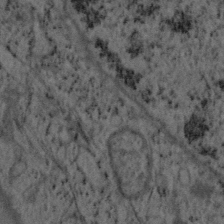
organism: Human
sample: HeLa cells